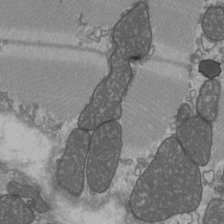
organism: C57BL Mouse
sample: Heart